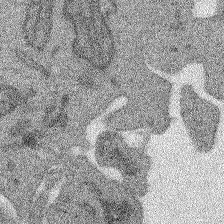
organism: Human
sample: HeLa cells